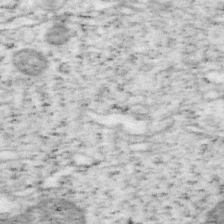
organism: Mouse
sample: OT-I killer T cells with ID8 ovarian cancer cells